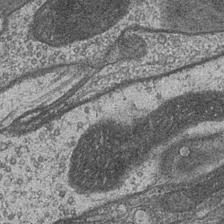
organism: Drosophila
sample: Optic medulla